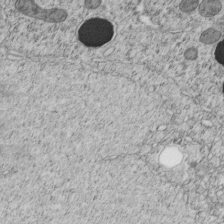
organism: C. elegans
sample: C. elegans embryo early stage